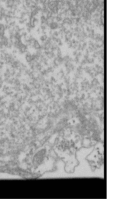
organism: Drosophila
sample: Cell division; meiosis; drosophila spermatocytes